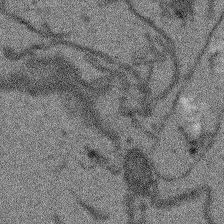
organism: Arabidopsis thaliana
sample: Root tip